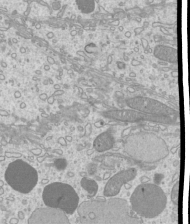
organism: Mouse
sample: Cilia; mouse epididymis